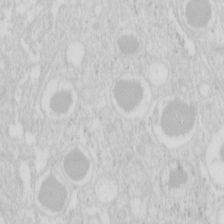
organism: Mouse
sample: Pancreas